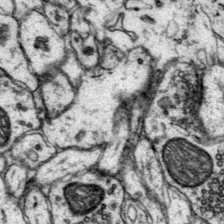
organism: Mouse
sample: Primary visual cortex